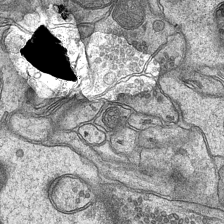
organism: Mouse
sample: CA1 Hippocampus